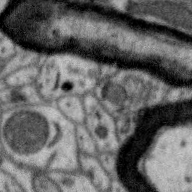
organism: Zebra finch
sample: Brain